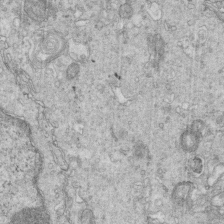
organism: Mouse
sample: Multiciliated cells